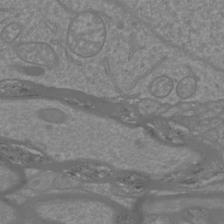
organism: Mouse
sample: Cortical neurons